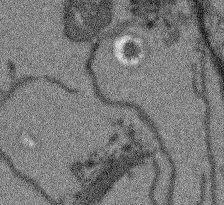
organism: Arabidopsis thaliana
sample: Root tip